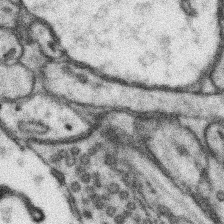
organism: Mouse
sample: Somatosensory cortex neuropil